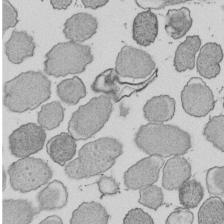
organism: E. coli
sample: Bacterial nucleoid